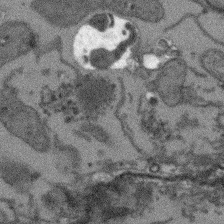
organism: Arabidopsis thaliana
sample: Root tip